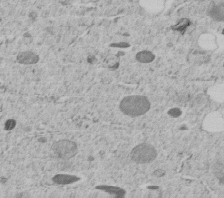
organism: C. elegans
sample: C. elegans embryo early stage